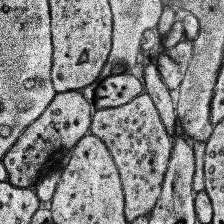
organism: Human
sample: Temporal Lobe